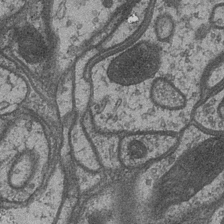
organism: Drosophila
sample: Optic medulla